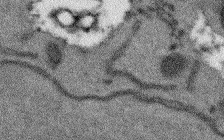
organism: Arabidopsis thaliana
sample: Root tip